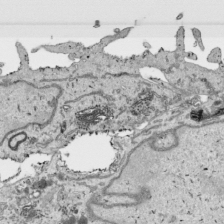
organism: Human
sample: Mitochondria in HCT116 cells